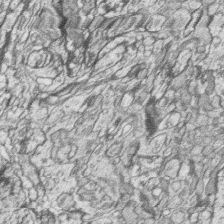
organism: Zebrafish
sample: synaptic ribbons in rod cells and cone cells